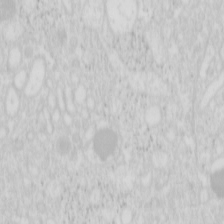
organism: Mouse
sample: Pancreas